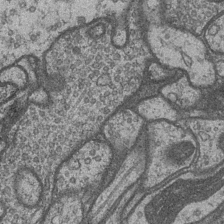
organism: Drosophila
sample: Optic medulla